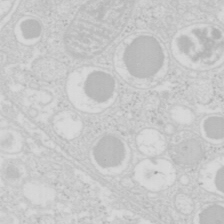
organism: Mouse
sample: Pancreas